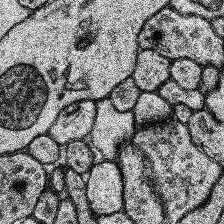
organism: Human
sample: Temporal Lobe